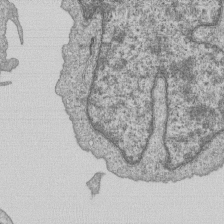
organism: Human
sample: MDA-MB-231 cells